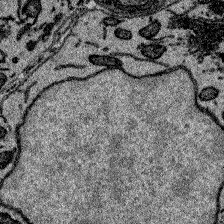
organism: Zebrafish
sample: Larval olfactory bulb